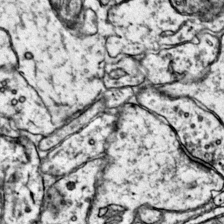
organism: Mouse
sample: Primary visual cortex